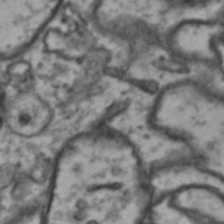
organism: Drosophila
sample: Brain